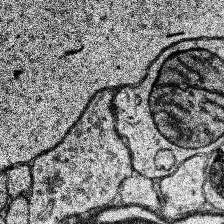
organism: Human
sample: Temporal Lobe